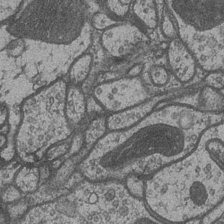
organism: Drosophila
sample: Optic medulla